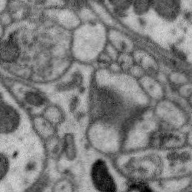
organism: Zebra finch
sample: Brain